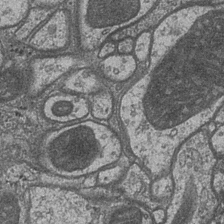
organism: Drosophila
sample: Optic medulla